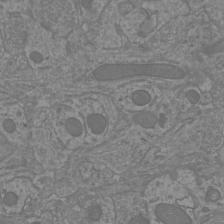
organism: Mouse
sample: Cortical neurons